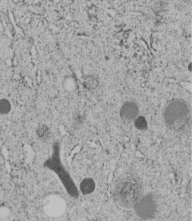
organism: C. elegans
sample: C. elegans embryo early stage